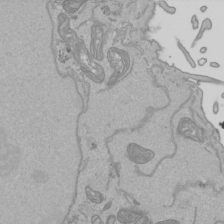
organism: Human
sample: Mitochondria in HCT116 cells